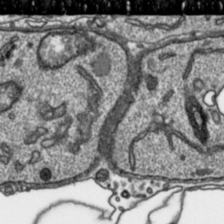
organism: Toxoplasma gondii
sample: Parasites in a vacuole inside a host cell